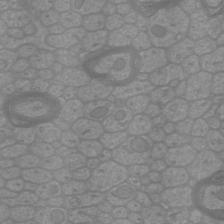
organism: Mouse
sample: Cortical neurons